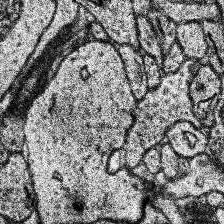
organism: Human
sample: Temporal Lobe